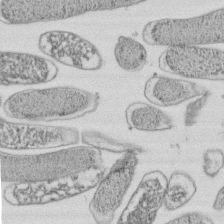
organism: E. coli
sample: Bacterial nucleoid